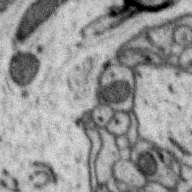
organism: Zebra finch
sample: Brain